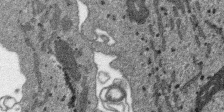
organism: Human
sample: Lung epithelial cells infected with SARS-CoV-2